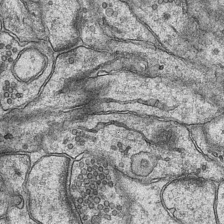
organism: Mouse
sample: CA1 Hippocampus